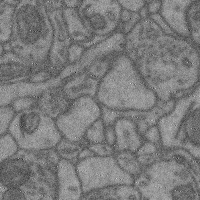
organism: Mouse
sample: Cerebral cortex